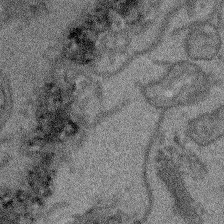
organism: Arabidopsis thaliana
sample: Root tip